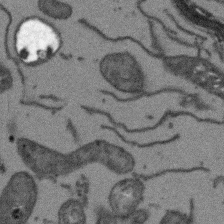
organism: Arabidopsis thaliana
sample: Root tip